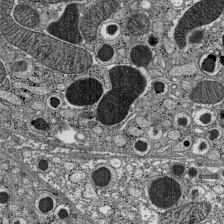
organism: C57BL Mouse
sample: Pancreatic islet